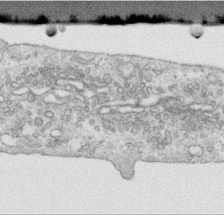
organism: Human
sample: Centriole in RPE cells